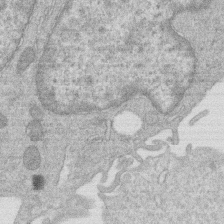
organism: Human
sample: Macrophage cells